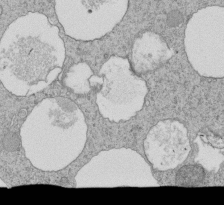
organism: Tetrahymena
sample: Cilia in tetrahymena